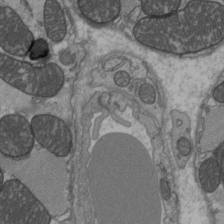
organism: C57BL Mouse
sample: Heart